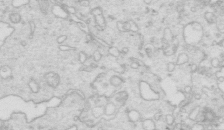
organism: Mouse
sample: Multiciliated cells